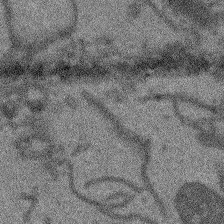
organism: Arabidopsis thaliana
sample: Root tip